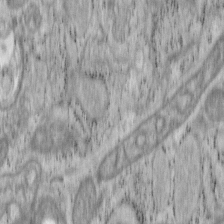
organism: Human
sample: HeLa cells